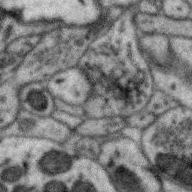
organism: Zebra finch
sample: Brain